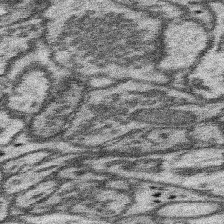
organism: Mouse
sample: Somatosensory cortex neuropil